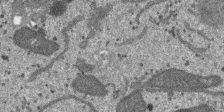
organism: Human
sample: Lung epithelial cells infected with SARS-CoV-2